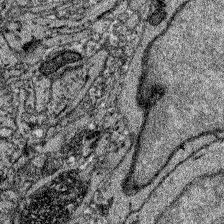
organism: Zebrafish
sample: Larval olfactory bulb